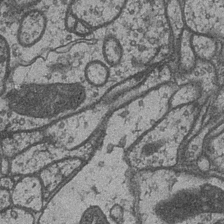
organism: Drosophila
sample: Optic medulla